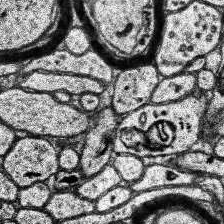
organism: Human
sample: Temporal Lobe